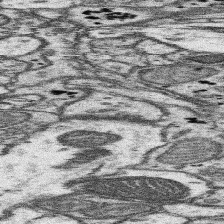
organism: Mouse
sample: Somatosensory cortex neuropil